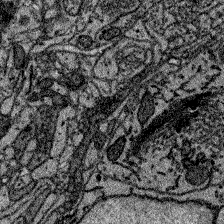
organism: Zebrafish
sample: Larval olfactory bulb